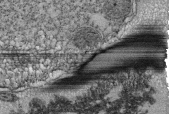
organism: Tetrahymena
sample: Cilia in tetrahymena